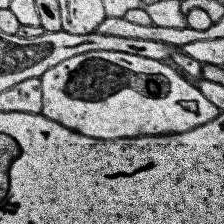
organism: Human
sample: Temporal Lobe